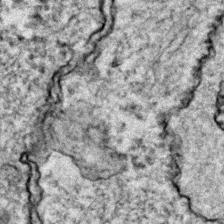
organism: Zebrafish